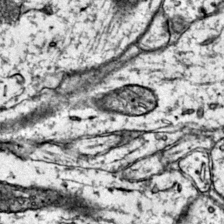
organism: Mouse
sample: Primary visual cortex